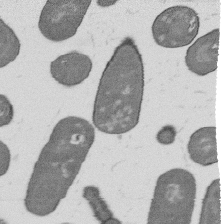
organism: B. subtilis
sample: Bacterial spore